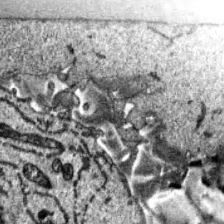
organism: Human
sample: HeLa cells